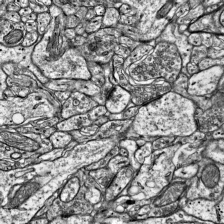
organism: Mouse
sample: Visual Cortex